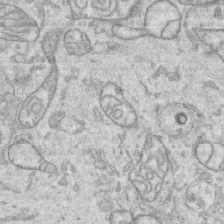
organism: Human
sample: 1205lu cells